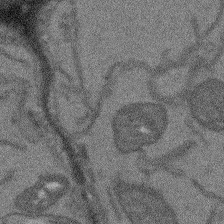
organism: Arabidopsis thaliana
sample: Root tip